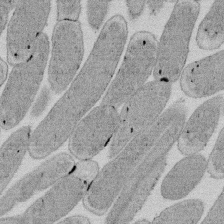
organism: E. coli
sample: Bacterial nucleoid